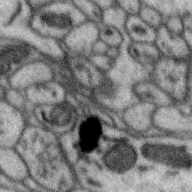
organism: Zebra finch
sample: Brain